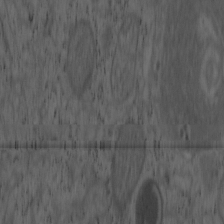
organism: Human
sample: HeLa cells